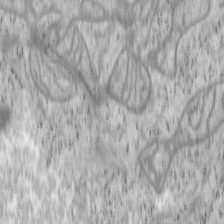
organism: Human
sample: HeLa cells